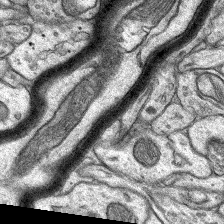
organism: Rat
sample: Hippocampus